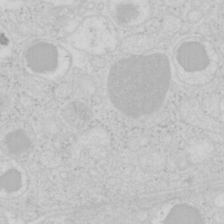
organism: Mouse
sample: Pancreas